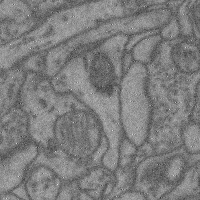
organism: Mouse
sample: Cerebral cortex